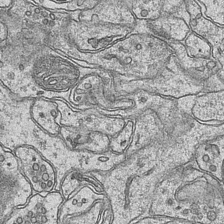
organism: Mouse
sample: CA1 Hippocampus